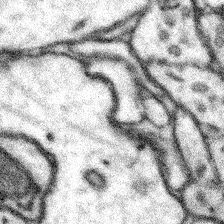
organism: Mouse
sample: Somatosensory cortex neuropil